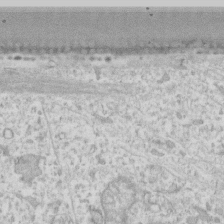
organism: Human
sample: Fibroblast cells